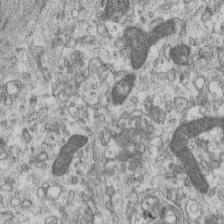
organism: Mouse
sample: Centriole in ependymal cells